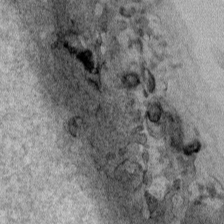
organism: Human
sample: Mitochondria in HCT116 cells